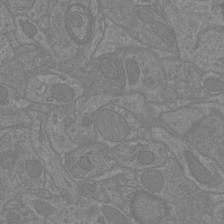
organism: Mouse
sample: Cortical neurons